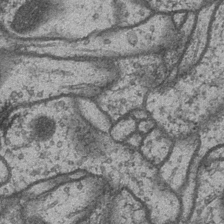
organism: Drosophila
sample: Optic medulla